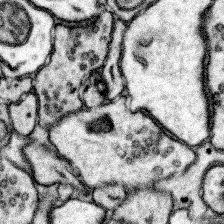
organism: Mouse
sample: Somatosensory cortex neuropil